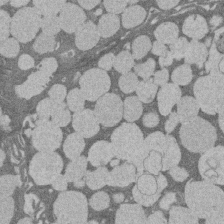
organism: Rat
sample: Salivary granule